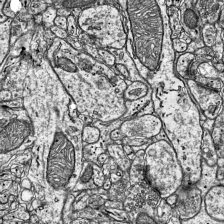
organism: Mouse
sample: Visual Cortex